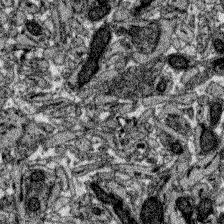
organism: Zebrafish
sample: Larval olfactory bulb